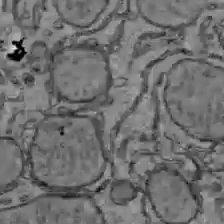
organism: C57BL Mouse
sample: Liver